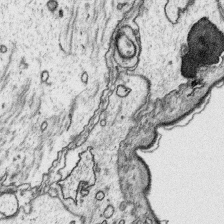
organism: Platynereis dumerilii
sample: Parapodia